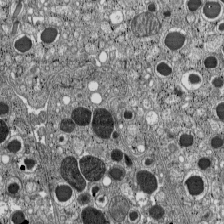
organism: C57BL Mouse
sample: Pancreatic islet